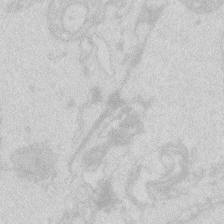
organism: Zebrafish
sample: Macrophage